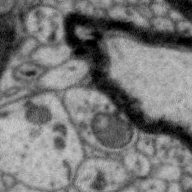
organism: Zebra finch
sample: Brain